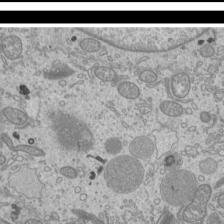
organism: Mouse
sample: Cilia; mouse epididymis